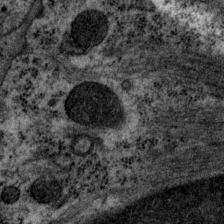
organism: P. pacificus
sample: Pharynx